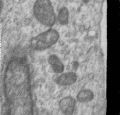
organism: Human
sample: Centriole in RPE cells